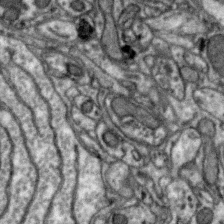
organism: Zebra finch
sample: Brain